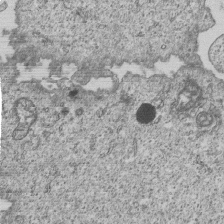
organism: Human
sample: MDA-MB-231 cells